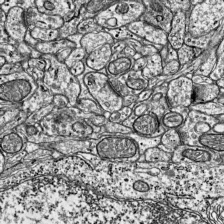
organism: Mouse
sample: Visual Cortex